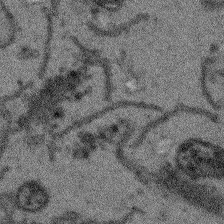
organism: Arabidopsis thaliana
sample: Root tip